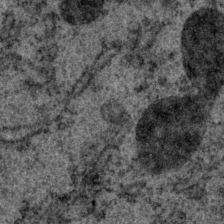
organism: P. pacificus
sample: Pharynx